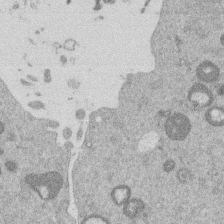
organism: Mouse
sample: Dividing mouse embryo 1 cell stage